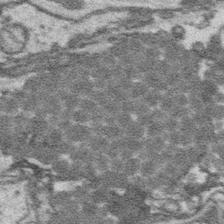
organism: Platynereis dumerilii